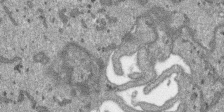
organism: Human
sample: Lung epithelial cells infected with SARS-CoV-2